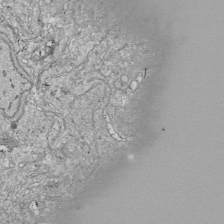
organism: Drosophila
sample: Cell division; meiosis; drosophila spermatocytes